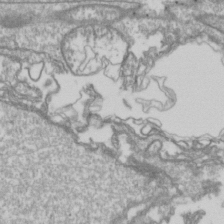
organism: Drosophila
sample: Cell division; meiosis; drosophila spermatocytes